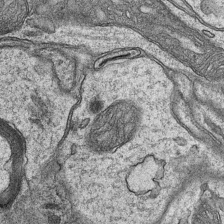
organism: Mouse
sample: CA1 Hippocampus